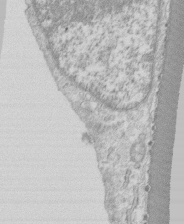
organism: Human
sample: CRL-1474